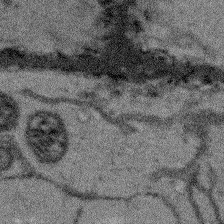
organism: Arabidopsis thaliana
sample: Root tip